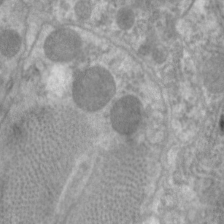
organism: C. elegans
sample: Pharynx